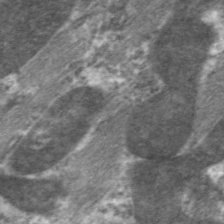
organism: C. elegans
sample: Pharynx